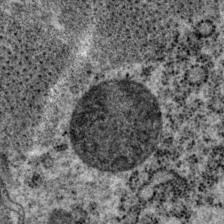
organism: P. pacificus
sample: Pharynx